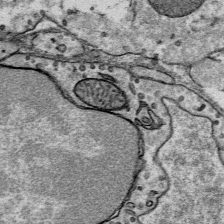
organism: Mouse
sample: Mouse Salivary gland